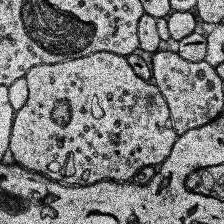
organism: Human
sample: Temporal Lobe